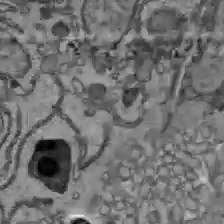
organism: C57BL Mouse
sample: Liver